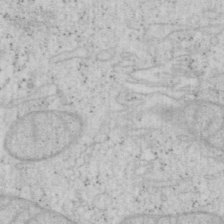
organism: Human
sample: HeLa cells